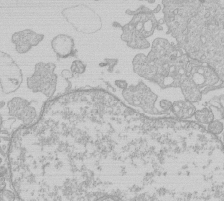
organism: Human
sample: Macrophage cells